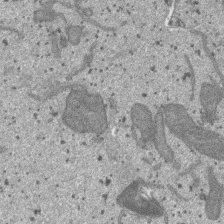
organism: Human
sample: Lung epithelial cells infected with SARS-CoV-2